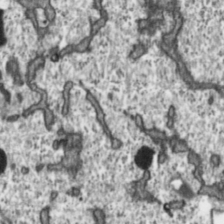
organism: Toxoplasma gondii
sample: Parasites in a vacuole inside a host cell